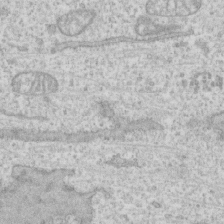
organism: Human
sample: CRL-1474